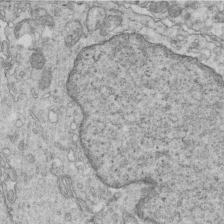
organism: Mouse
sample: Multiciliated cells